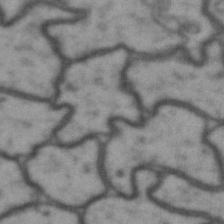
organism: Drosophila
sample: Brain